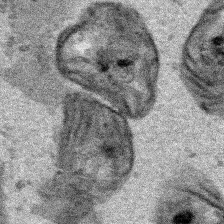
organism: Human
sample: Mitochondria in HCT116 cells